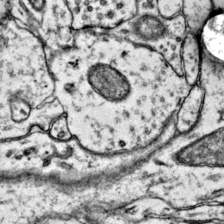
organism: Mouse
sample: Primary visual cortex